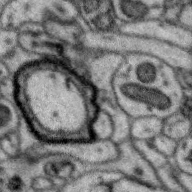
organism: Zebra finch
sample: Brain